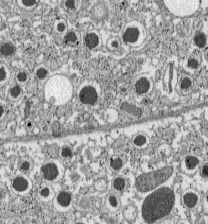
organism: C57BL Mouse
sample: Pancreatic islet